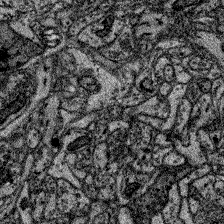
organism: Zebrafish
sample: Larval olfactory bulb